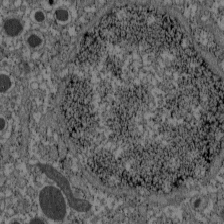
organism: C57BL Mouse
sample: Pancreatic islet